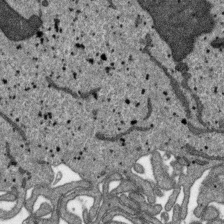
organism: Human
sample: Lung epithelial cells, uninfected (mock) control